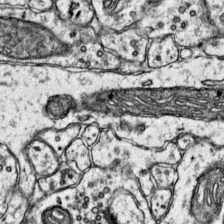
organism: Mouse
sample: Primary visual cortex